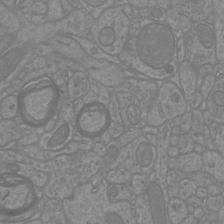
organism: Mouse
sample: Cortical neurons